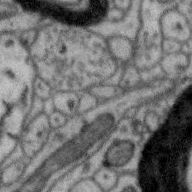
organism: Zebra finch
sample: Brain